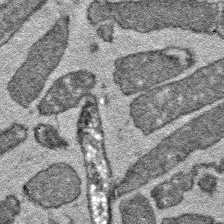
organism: E. coli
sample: E. Coli Bacteria